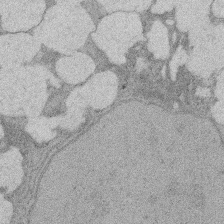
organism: Rat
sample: Salivary granule